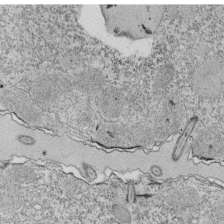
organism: Tetrahymena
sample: Cilia in tetrahymena